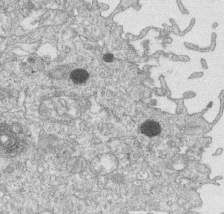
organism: Human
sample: HeLa cell HIV synapse